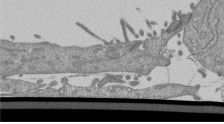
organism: Mouse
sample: ED-1 cell nuclei; centrioles